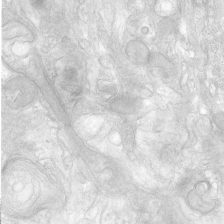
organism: Human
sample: Neocortex